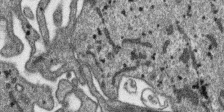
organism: Human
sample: Lung epithelial cells infected with SARS-CoV-2